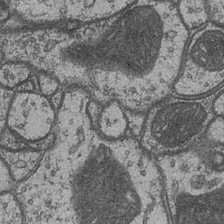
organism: Drosophila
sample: Optic medulla